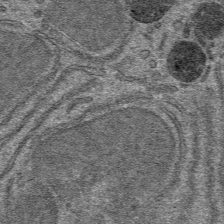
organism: Mouse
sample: Mouse hepatocytes